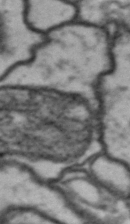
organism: Drosophila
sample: Brain